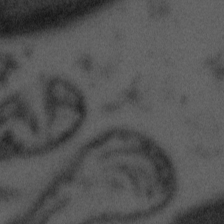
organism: Tuwongella immobilis